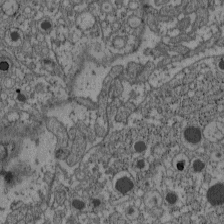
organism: C57BL Mouse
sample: Pancreatic islet